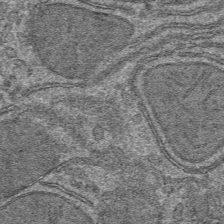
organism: Mouse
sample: Mouse hepatocytes